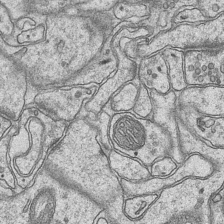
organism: Mouse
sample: CA1 Hippocampus